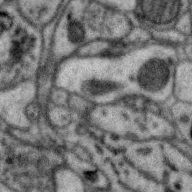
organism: Zebra finch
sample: Brain